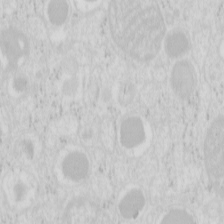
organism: Mouse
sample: Pancreas